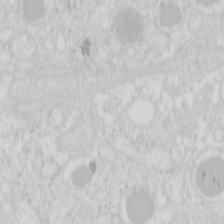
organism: Mouse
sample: Pancreas